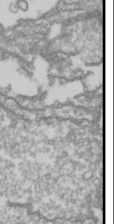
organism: Drosophila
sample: Cell division; meiosis; drosophila spermatocytes